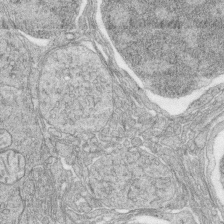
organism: Zebrafish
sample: synaptic ribbons in rod cells and cone cells